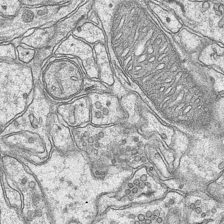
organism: Mouse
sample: CA1 Hippocampus